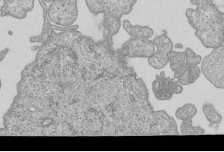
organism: Human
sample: MDA-MB-231 cells